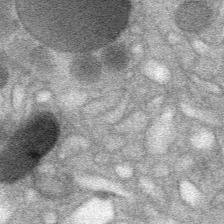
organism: Mouse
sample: Mouse Salivary gland